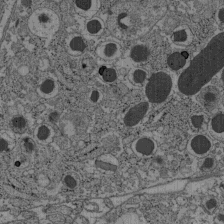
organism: C57BL Mouse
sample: Pancreatic islet